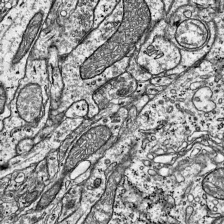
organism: Mouse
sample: Visual Cortex